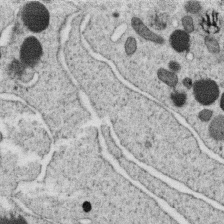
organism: C. elegans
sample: C. elegans oocyte; sperm cells